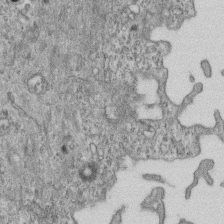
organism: Mouse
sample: Centriole in ependymal cells